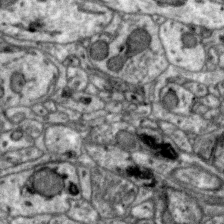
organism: Zebra finch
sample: Brain